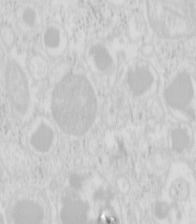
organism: Mouse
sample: Pancreas